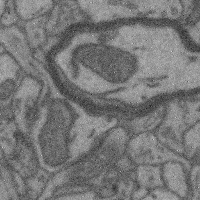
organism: Mouse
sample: Cerebral cortex